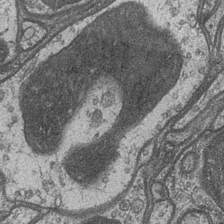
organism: Drosophila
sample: Optic medulla